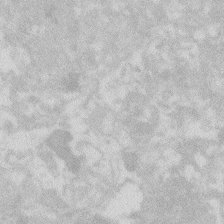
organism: Zebrafish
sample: Macrophage